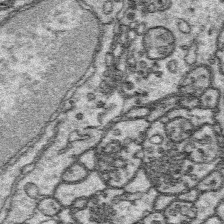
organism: Platynereis dumerilii